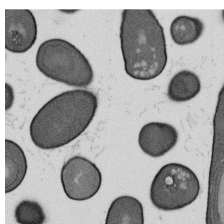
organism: B. subtilis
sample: Bacterial spore